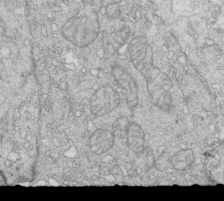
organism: Mouse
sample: Multiciliated cells